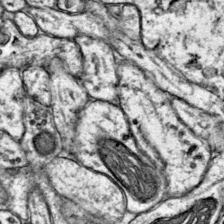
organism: Mouse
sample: Primary visual cortex